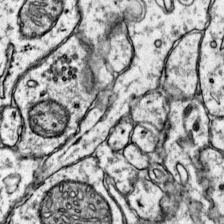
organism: Mouse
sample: Primary visual cortex